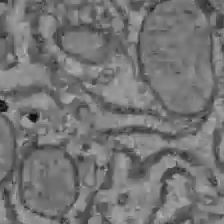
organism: C57BL Mouse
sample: Liver